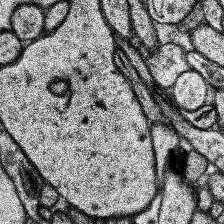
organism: Human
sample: Temporal Lobe